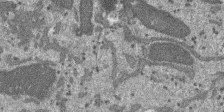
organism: Human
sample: Lung epithelial cells infected with SARS-CoV-2